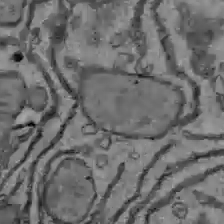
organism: C57BL Mouse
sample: Liver